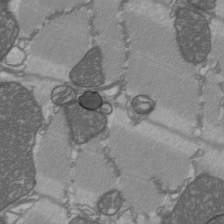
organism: C57BL Mouse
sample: Heart